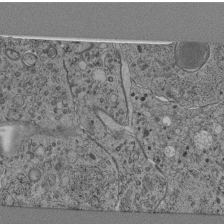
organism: C. elegans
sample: C. elegans pharynx